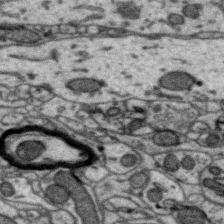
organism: Zebra finch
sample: Brain